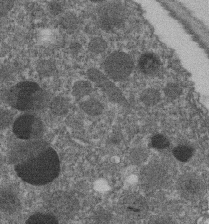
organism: C. elegans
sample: C. elegans embryo early stage